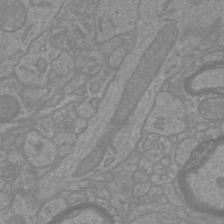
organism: Mouse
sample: Cortical neurons